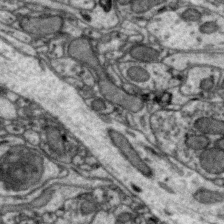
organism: Zebra finch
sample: Brain